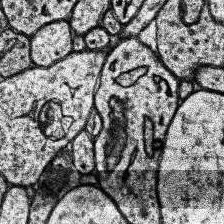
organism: Human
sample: Temporal Lobe